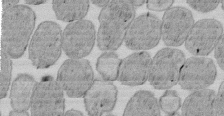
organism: E. coli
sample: Bacterial nucleoid